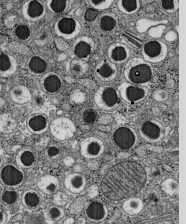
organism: C57BL Mouse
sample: Pancreatic islet